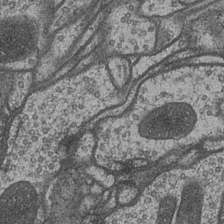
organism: Drosophila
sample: Optic medulla